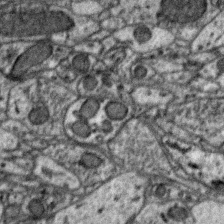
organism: Zebra finch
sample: Brain